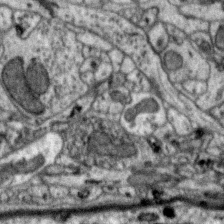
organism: Zebra finch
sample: Brain